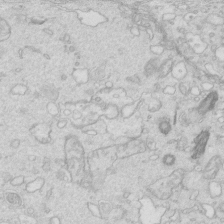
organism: Mouse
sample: Multiciliated cells